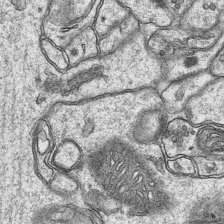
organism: Mouse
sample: CA1 Hippocampus